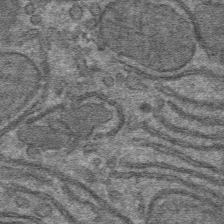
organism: Mouse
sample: Mouse hepatocytes